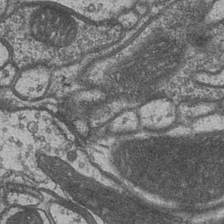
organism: Drosophila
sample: Optic medulla